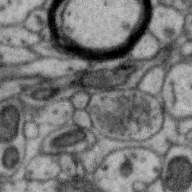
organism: Zebra finch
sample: Brain